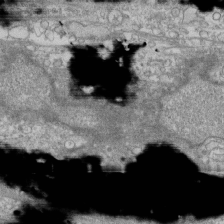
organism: Human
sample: Fibroblast cells